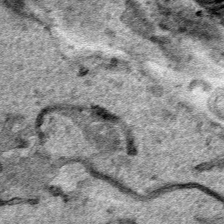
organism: Human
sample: Mitochondria in HCT116 cells